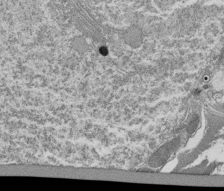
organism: Tetrahymena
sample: Cilia in tetrahymena